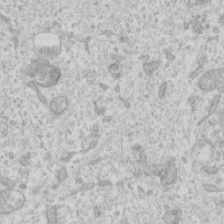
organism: Human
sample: Fibroblast cells